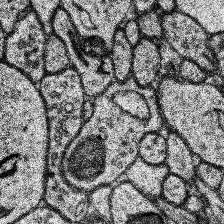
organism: Human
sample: Temporal Lobe